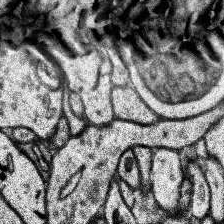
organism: Human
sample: Temporal Lobe